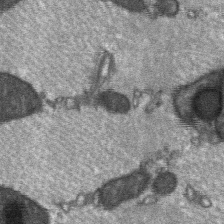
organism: C57BL Mouse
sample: Soleus